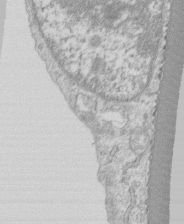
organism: Human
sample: CRL-1474